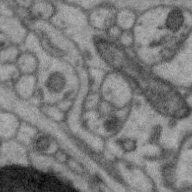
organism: Zebra finch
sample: Brain